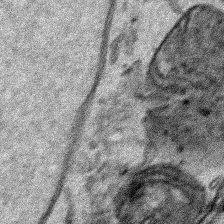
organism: Human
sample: Mitochondria in HCT116 cells